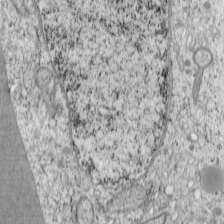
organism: African green monkey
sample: COS-7 cells